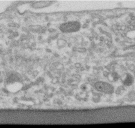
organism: Human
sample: Centriole in RPE cells